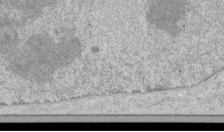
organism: Human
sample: Mitochondria in HCT116 cells